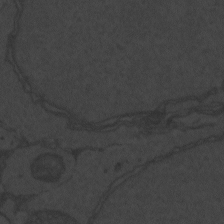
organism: Zebrafish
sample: Macrophage infected with Toxoplasma gondii